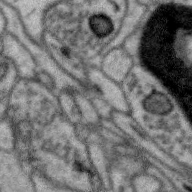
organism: Zebra finch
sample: Brain